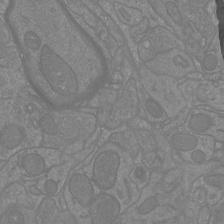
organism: Mouse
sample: Cortical neurons